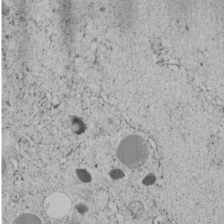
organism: C. elegans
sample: C. elegans embryo early stage